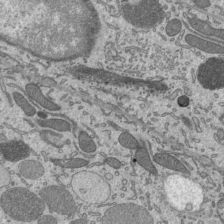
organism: Mouse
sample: Mouse epididymis efferent ductule cilia